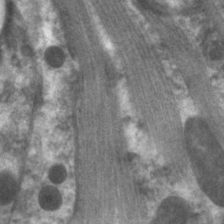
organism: C. elegans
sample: Pharynx